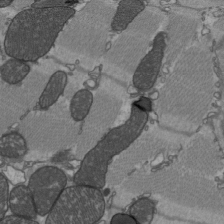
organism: C57BL Mouse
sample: Heart